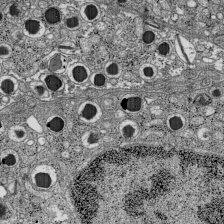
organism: C57BL Mouse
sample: Pancreatic islet